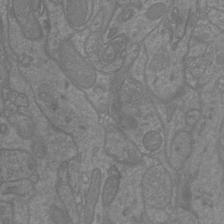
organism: Mouse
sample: Cortical neurons